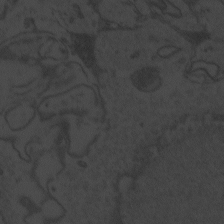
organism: Zebrafish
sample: Macrophage infected with Toxoplasma gondii